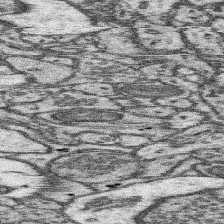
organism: Mouse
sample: Somatosensory cortex neuropil